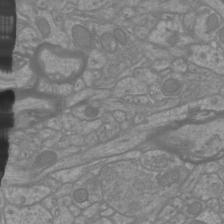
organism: Mouse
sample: Cortical neurons